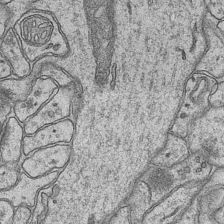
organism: Mouse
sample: CA1 Hippocampus